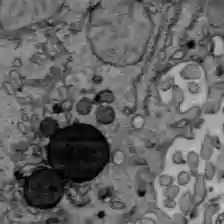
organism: C57BL Mouse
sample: Liver